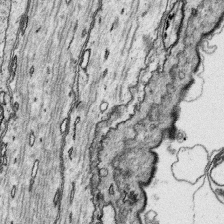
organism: Platynereis dumerilii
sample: Parapodia